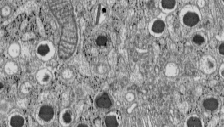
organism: C57BL Mouse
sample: Pancreatic islet